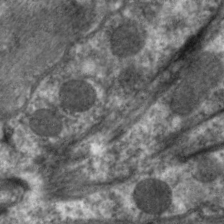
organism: C. elegans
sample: Pharynx